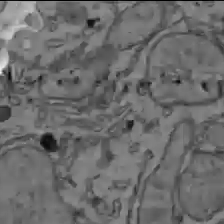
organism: C57BL Mouse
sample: Liver